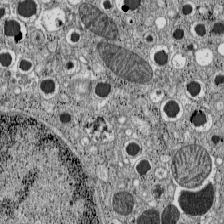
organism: C57BL Mouse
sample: Pancreatic islet